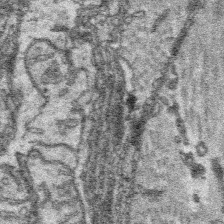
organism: Platynereis dumerilii